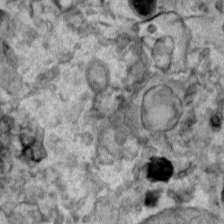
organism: Human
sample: Mitochondria in HCT116 cells